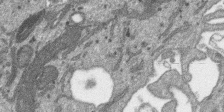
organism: Human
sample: Lung epithelial cells infected with SARS-CoV-2